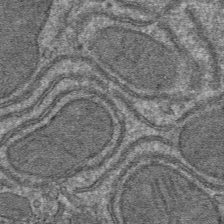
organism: Mouse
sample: Mouse hepatocytes